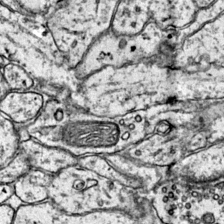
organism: Mouse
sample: Primary visual cortex